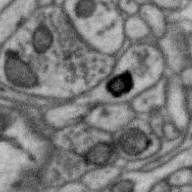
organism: Zebra finch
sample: Brain